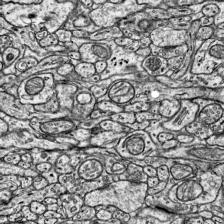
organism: Mouse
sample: Visual Cortex